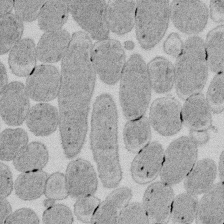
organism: E. coli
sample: Bacterial nucleoid